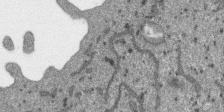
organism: Human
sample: Lung epithelial cells infected with SARS-CoV-2